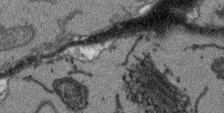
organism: Arabidopsis thaliana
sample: Root tip